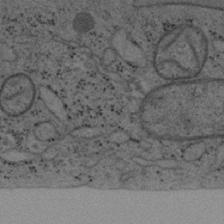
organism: Human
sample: HeLa cells